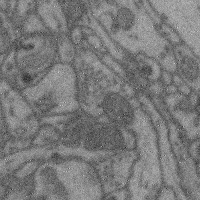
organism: Mouse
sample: Cerebral cortex